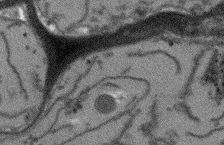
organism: Arabidopsis thaliana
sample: Root tip